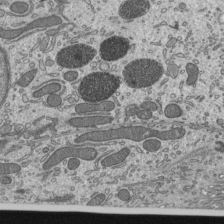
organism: Mouse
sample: Mouse epididymis efferent ductule cilia